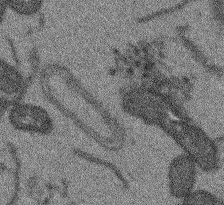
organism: Arabidopsis thaliana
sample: Root tip